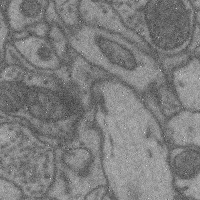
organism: Mouse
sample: Cerebral cortex